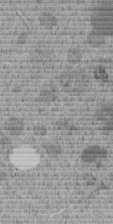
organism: C. elegans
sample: C. elegans embryo early stage